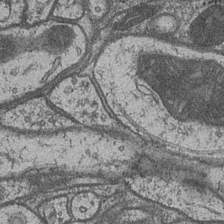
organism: Drosophila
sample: Optic medulla